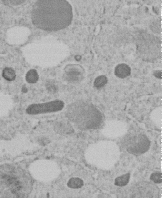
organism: C. elegans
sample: C. elegans embryo early stage